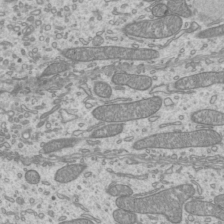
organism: Mouse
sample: Cilia; mouse epididymis